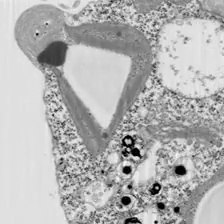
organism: Chlamydomonas reinhardtii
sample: Whole Cell